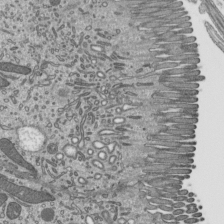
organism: Mouse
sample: Mouse epididymis efferent ductule cilia